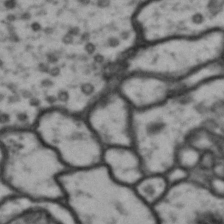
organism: Drosophila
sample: Brain